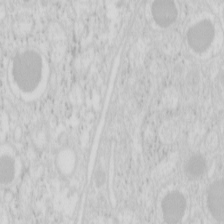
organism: Mouse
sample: Pancreas